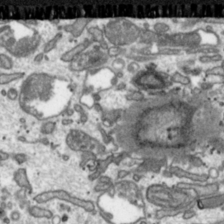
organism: Toxoplasma gondii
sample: Parasites in a vacuole inside a host cell